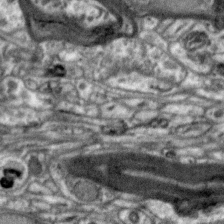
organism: Zebra finch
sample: Brain